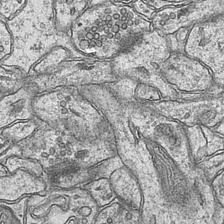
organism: Mouse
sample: CA1 Hippocampus